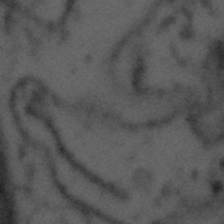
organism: Tuwongella immobilis